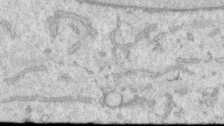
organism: Human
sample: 1205lu cells